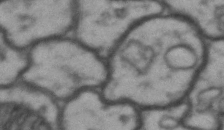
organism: Drosophila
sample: Brain